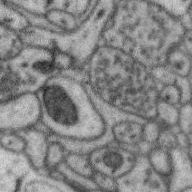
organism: Zebra finch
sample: Brain